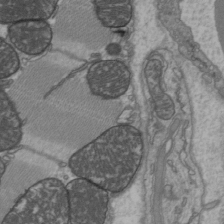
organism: C57BL Mouse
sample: Heart